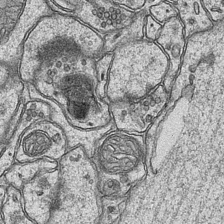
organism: Mouse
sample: CA1 Hippocampus